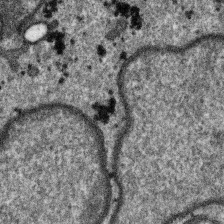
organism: Human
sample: Lung epithelial cells infected with SARS-CoV-2